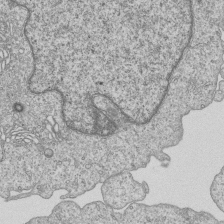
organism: Human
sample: MDA-MB-231 cells